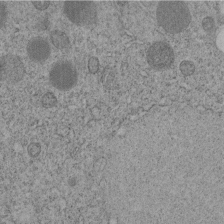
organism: C. elegans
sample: C. elegans embryo early stage